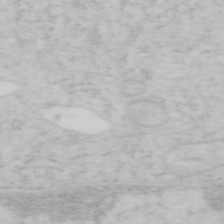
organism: Mouse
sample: OT-I killer T cells with ID8 ovarian cancer cells